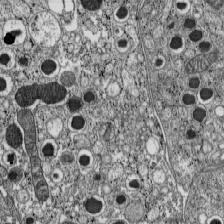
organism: C57BL Mouse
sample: Pancreatic islet